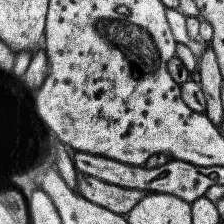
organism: Human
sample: Temporal Lobe